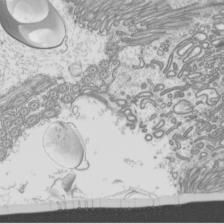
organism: Mouse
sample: Cilia; mouse epididymis